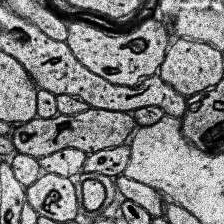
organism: Human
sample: Temporal Lobe